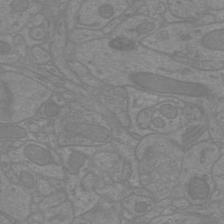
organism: Mouse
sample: Cortical neurons